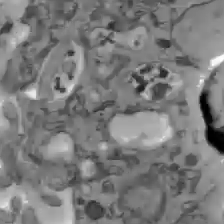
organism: C57BL Mouse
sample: Liver